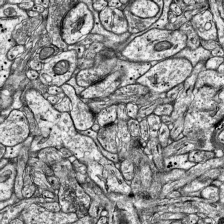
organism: Mouse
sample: Visual Cortex